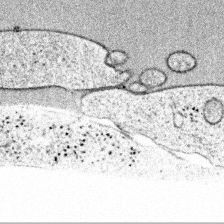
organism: Human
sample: HeLa cells